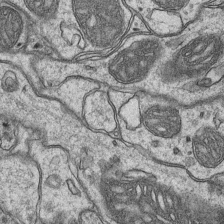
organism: Mouse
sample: CA1 Hippocampus